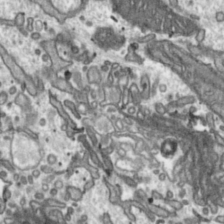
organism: Toxoplasma gondii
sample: Parasites in a vacuole inside a host cell